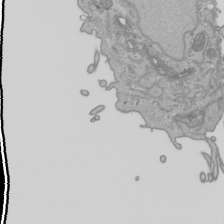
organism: Human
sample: Mitochondria in HCT116 cells